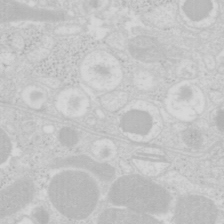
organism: Mouse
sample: Pancreas